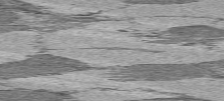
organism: C57BL Mouse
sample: Heart